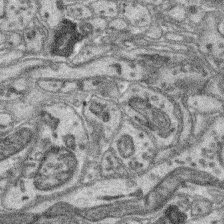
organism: Mouse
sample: Retina